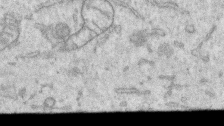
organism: Human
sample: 1205lu cells